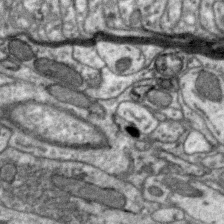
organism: Zebra finch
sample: Brain